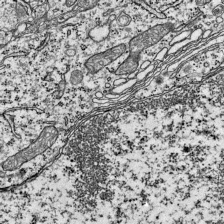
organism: Mouse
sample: Visual Cortex